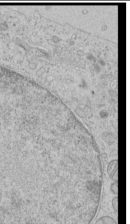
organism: Human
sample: Mitochondria in HCT116 cells